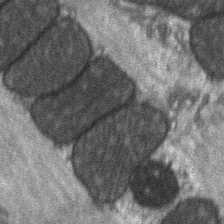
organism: C57BL Mouse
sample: Soleus